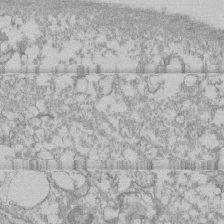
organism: Human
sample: CRL-1474